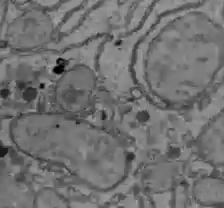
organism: C57BL Mouse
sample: Liver